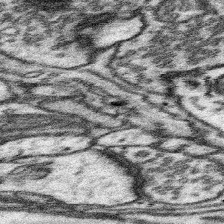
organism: Mouse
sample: Somatosensory cortex neuropil